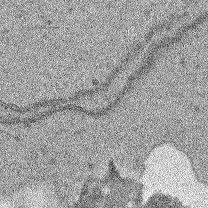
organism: Human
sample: HeLa cells